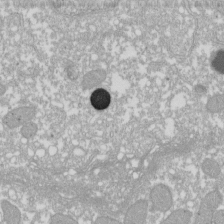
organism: Xenopus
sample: Cilia; centrioles in frog embryo cells